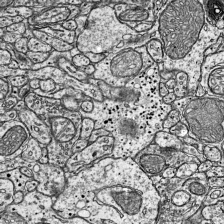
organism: Mouse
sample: Visual Cortex